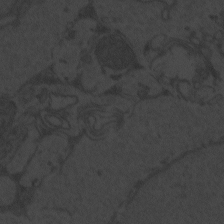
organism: Zebrafish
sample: Macrophage infected with Toxoplasma gondii